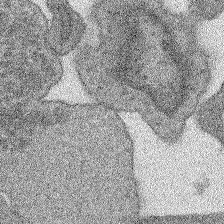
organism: Human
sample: HeLa cells